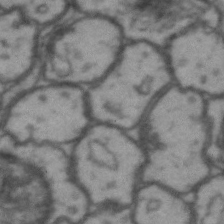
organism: Drosophila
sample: Brain